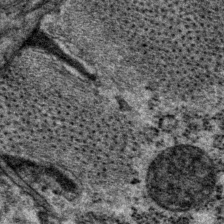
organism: P. pacificus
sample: Pharynx